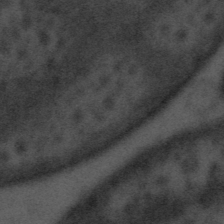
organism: Tuwongella immobilis